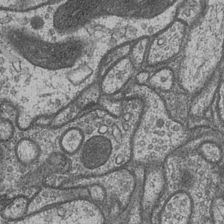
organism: Drosophila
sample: Optic medulla